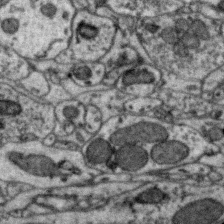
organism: Zebra finch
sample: Brain